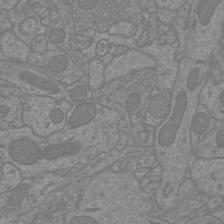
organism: Mouse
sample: Cortical neurons